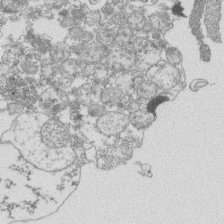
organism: Human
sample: HeLa cell HIV synapse